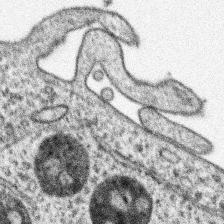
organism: Human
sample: HeLa cells